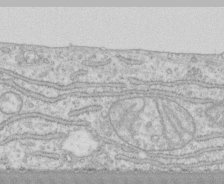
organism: Human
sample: CRL-1474